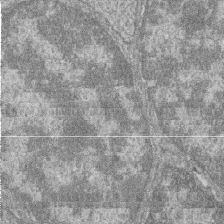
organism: Zebrafish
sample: Cilia; retinal pigment epithelium